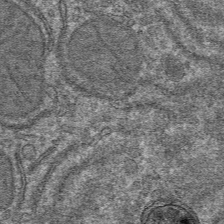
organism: Mouse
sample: Mouse hepatocytes